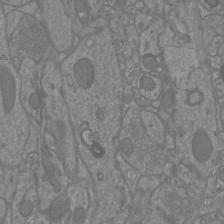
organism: Mouse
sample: Cortical neurons